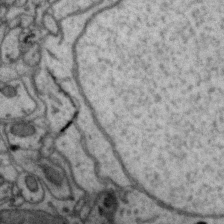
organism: Zebra finch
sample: Brain